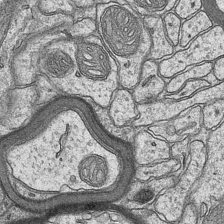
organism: Mouse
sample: CA1 Hippocampus